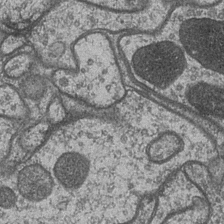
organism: Drosophila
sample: Optic medulla